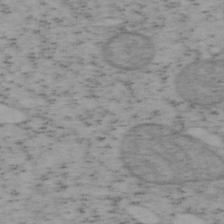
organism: Mouse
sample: OT-I killer T cells with ID8 ovarian cancer cells